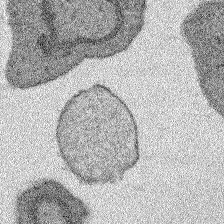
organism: Human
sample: HeLa cells